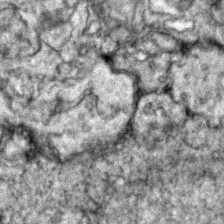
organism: Zebrafish